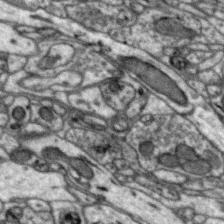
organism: Zebra finch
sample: Brain